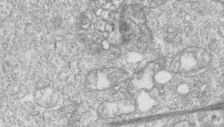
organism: Human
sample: HeLa cell HIV synapse